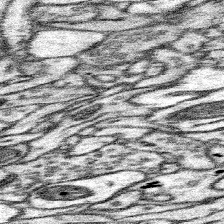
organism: Mouse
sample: Somatosensory cortex neuropil